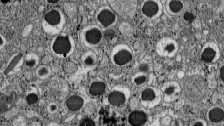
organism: C57BL Mouse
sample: Pancreatic islet